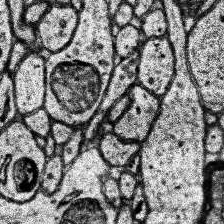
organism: Human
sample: Temporal Lobe